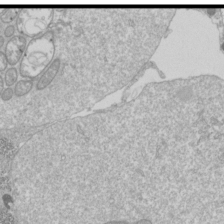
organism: Drosophila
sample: Cell division; meiosis; drosophila spermatocytes